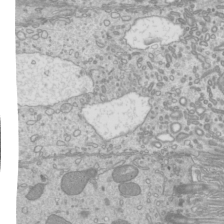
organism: Mouse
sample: Cilia; mouse epididymis